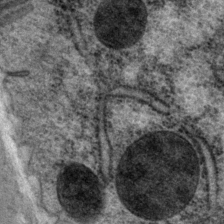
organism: P. pacificus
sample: Pharynx